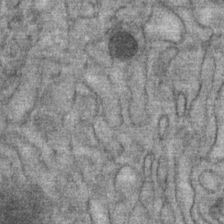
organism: Mouse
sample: Mouse Salivary gland